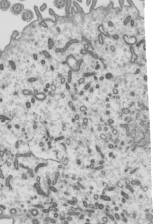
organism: Mouse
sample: Mouse epididymis efferent ductule cilia